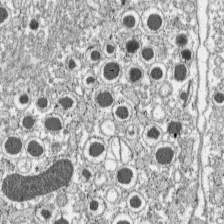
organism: C57BL Mouse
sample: Pancreatic islet